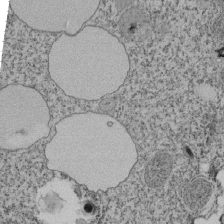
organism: Tetrahymena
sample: Cilia in tetrahymena